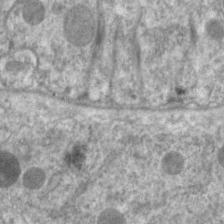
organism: C. elegans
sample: Pharynx